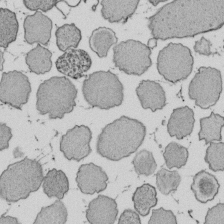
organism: E. coli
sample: Bacterial nucleoid